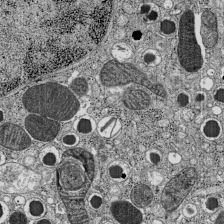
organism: C57BL Mouse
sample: Pancreatic islet